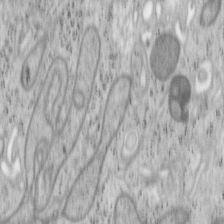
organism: Human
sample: HeLa cells